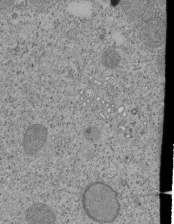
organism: Tetrahymena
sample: Cilia in tetrahymena